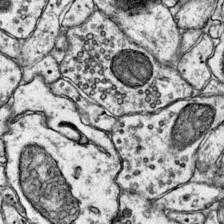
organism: Mouse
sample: Primary visual cortex